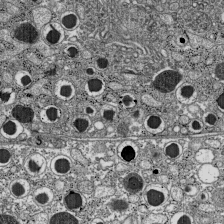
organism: C57BL Mouse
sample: Pancreatic islet